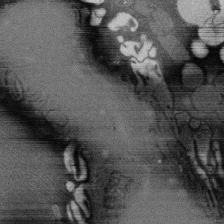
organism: Rat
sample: Salivary granule